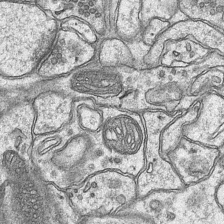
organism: Mouse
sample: CA1 Hippocampus